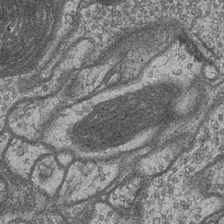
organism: Drosophila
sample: Optic medulla